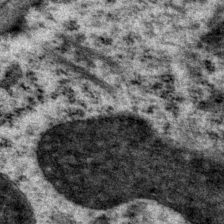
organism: P. pacificus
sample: Pharynx